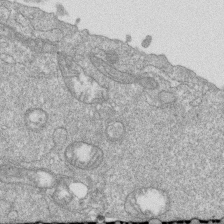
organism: Human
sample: HeLa cell HIV synapse